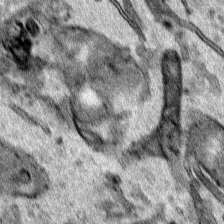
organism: Human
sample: Mitochondria in HCT116 cells